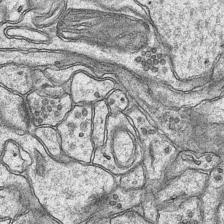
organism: Mouse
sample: CA1 Hippocampus